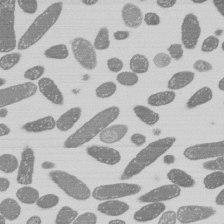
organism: E. coli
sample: Bacterial nucleoid